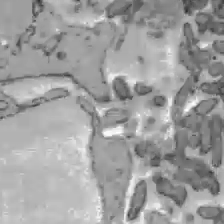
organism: C57BL Mouse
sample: Liver